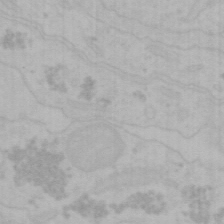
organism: Mouse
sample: Choroid plexus